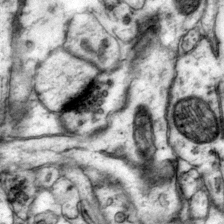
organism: Mouse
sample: Primary visual cortex